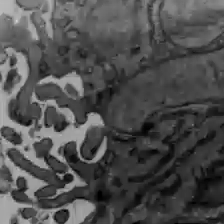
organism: C57BL Mouse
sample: Liver